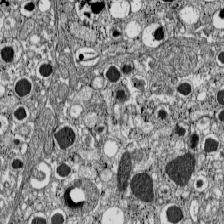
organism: C57BL Mouse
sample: Pancreatic islet